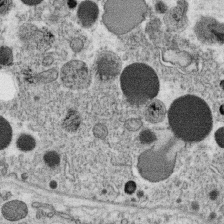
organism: C. elegans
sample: C. elegans oocyte; sperm cells